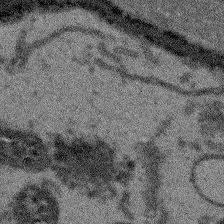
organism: Arabidopsis thaliana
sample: Root tip